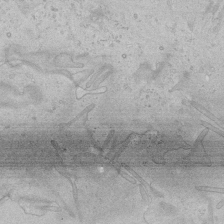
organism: Human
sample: Mitochondria in HCT116 cells